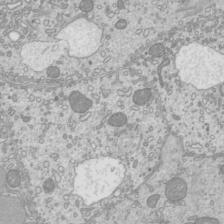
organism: Mouse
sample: Cilia; mouse epididymis